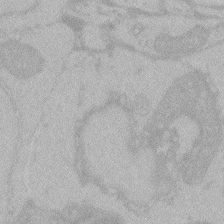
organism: Zebrafish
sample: Macrophage infected with Toxoplasma gondii